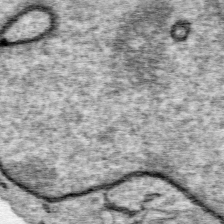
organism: Human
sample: HeLa cells